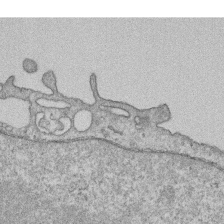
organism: Human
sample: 1205lu cells